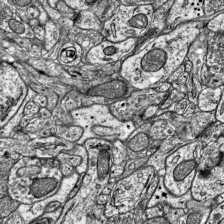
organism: Mouse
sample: Visual Cortex